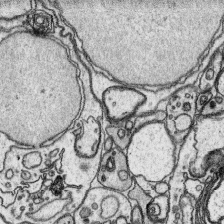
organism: Platynereis dumerilii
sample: Parapodia